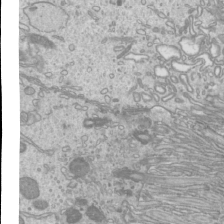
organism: Mouse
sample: Cilia; mouse epididymis